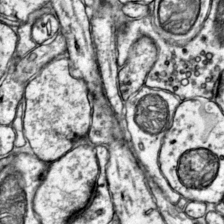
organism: Mouse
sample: Primary visual cortex